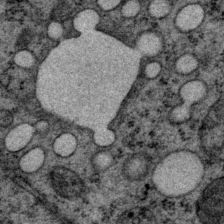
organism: P. pacificus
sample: Pharynx